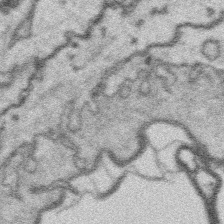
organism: Platynereis dumerilii